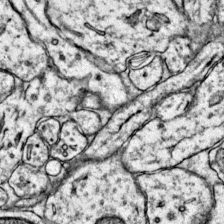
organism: Mouse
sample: Primary visual cortex